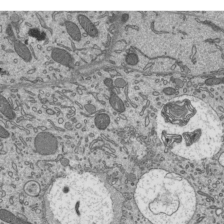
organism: Mouse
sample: Mouse epididymis efferent ductule cilia